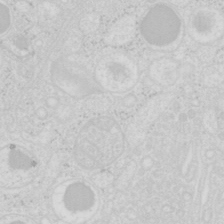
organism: Mouse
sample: Pancreas